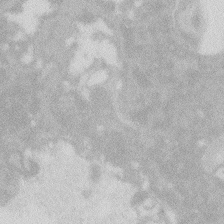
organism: Zebrafish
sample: Macrophage